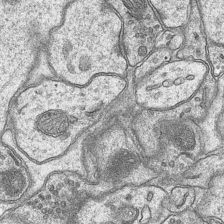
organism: Mouse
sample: CA1 Hippocampus